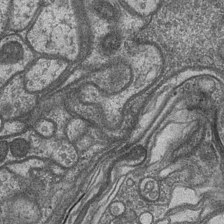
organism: Drosophila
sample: Optic medulla